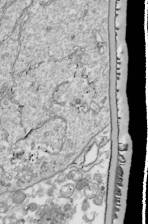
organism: Drosophila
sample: Cell division; meiosis; drosophila spermatocytes